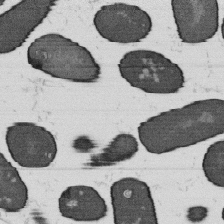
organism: B. subtilis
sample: Bacterial spore